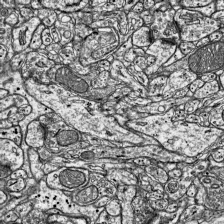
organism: Mouse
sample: Visual Cortex